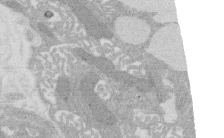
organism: Rat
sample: Salivary granule